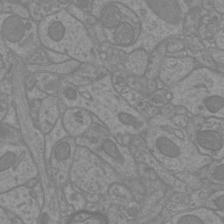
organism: Mouse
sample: Cortical neurons